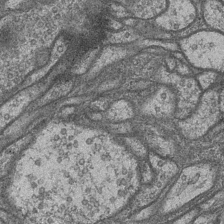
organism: Drosophila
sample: Optic medulla